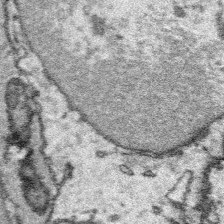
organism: Platynereis dumerilii